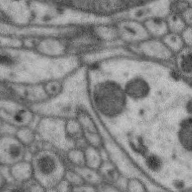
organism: Zebra finch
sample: Brain